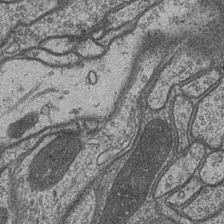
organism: Drosophila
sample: Optic medulla